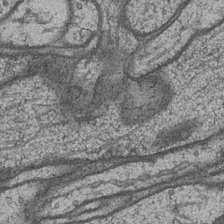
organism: Drosophila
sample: Optic medulla